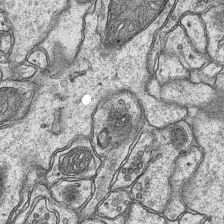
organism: Mouse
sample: CA1 Hippocampus